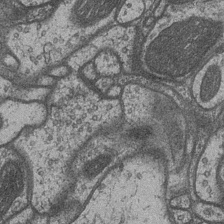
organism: Drosophila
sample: Optic medulla